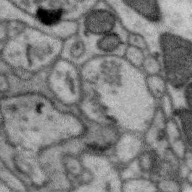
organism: Zebra finch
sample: Brain